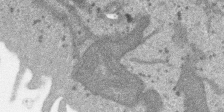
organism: Human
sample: Lung epithelial cells infected with SARS-CoV-2